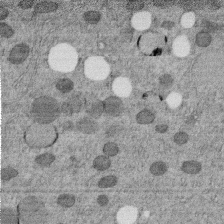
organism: C. elegans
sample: C. elegans embryo early stage